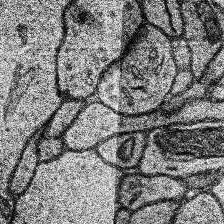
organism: Human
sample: Temporal Lobe